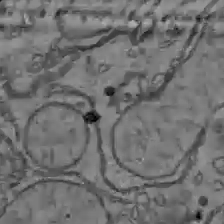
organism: C57BL Mouse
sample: Liver